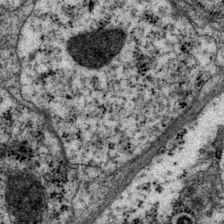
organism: P. pacificus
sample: Pharynx